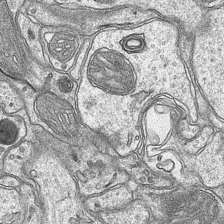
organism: Mouse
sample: CA1 Hippocampus